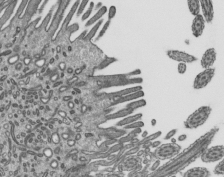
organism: Mouse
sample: Mouse epididymis efferent ductule cilia